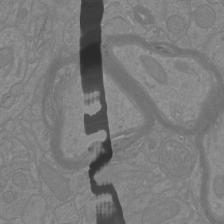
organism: Mouse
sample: Cortical neurons